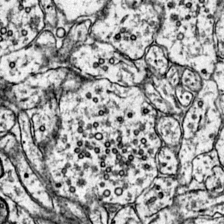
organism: Mouse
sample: Primary visual cortex